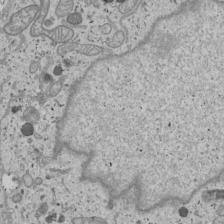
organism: Human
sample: Mitochondria in U2OS cells